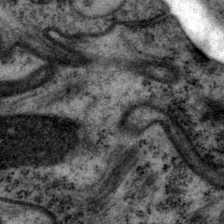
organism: P. pacificus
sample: Pharynx